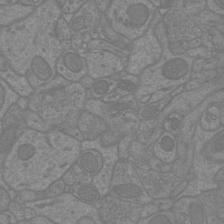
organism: Mouse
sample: Cortical neurons